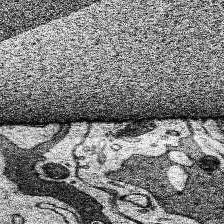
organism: Human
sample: Temporal Lobe